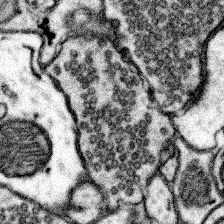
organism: Mouse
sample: Somatosensory cortex neuropil